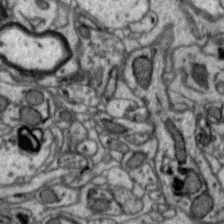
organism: Zebra finch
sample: Brain